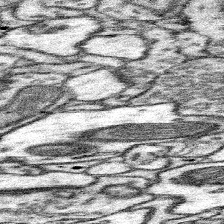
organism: Mouse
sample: Somatosensory cortex neuropil